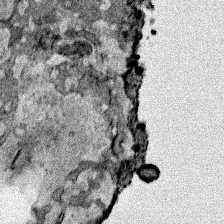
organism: Human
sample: Mitochondria in HCT116 cells